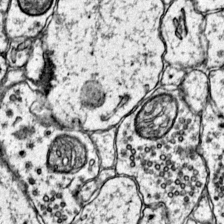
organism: Mouse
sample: Primary visual cortex